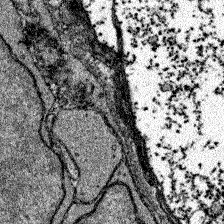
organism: Zebrafish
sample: Larval olfactory bulb